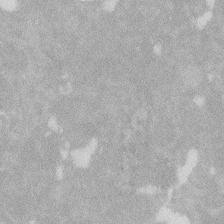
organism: Zebrafish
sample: Macrophage